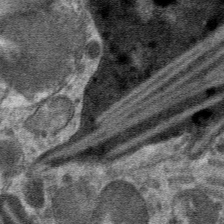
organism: Mouse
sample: Mouse hepatocytes